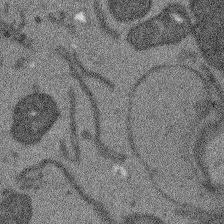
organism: Arabidopsis thaliana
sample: Root tip